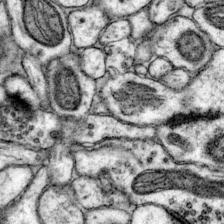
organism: Mouse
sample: Primary visual cortex